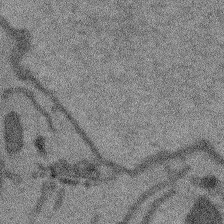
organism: Arabidopsis thaliana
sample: Root tip